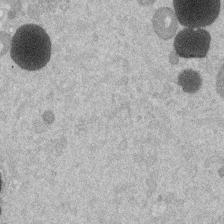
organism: Mouse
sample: Dividing mouse embryo 1 cell stage